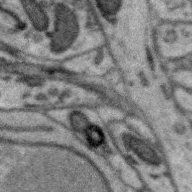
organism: Zebra finch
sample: Brain